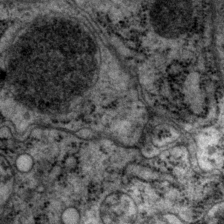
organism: P. pacificus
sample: Pharynx